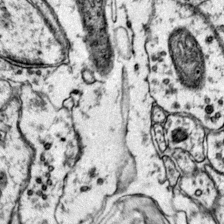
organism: Mouse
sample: Primary visual cortex